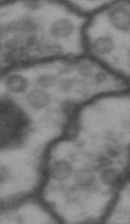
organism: Drosophila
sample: Brain